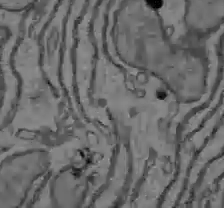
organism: C57BL Mouse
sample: Liver